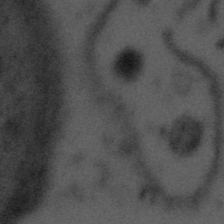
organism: Tuwongella immobilis